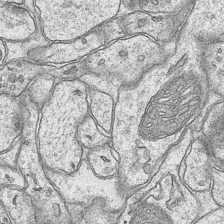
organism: Mouse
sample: CA1 Hippocampus